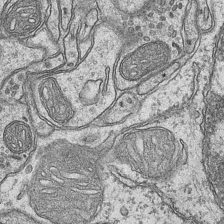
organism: Mouse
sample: CA1 Hippocampus